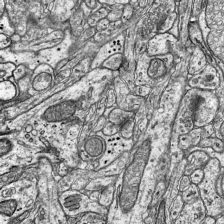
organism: Mouse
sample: Visual Cortex